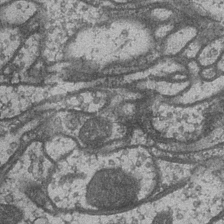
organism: Drosophila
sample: Optic medulla